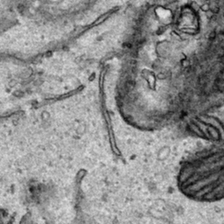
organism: Human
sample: Mitochondria in HCT116 cells